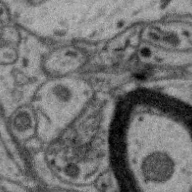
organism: Zebra finch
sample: Brain